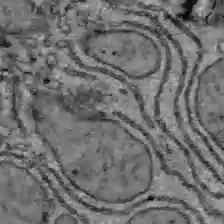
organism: C57BL Mouse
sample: Liver